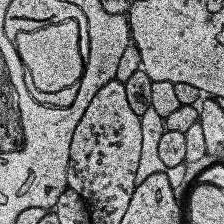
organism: Human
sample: Temporal Lobe